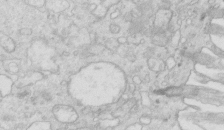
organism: Mouse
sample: Multiciliated cells